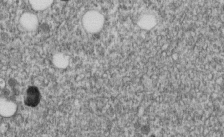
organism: C. elegans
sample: C. elegans embryo early stage